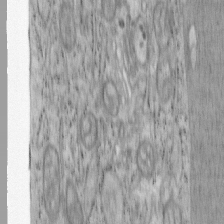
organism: Human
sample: HeLa cells